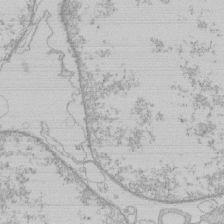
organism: Human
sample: Macrophage cells